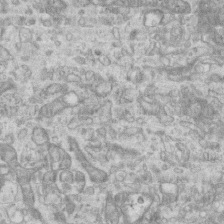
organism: Mouse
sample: Centriole in ependymal cells